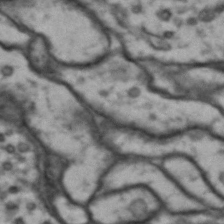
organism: Drosophila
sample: Brain